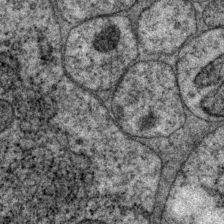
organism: P. pacificus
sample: Pharynx